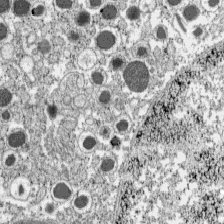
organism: C57BL Mouse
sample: Pancreatic islet